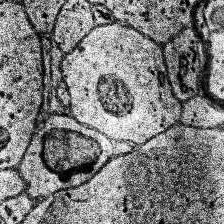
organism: Human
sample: Temporal Lobe